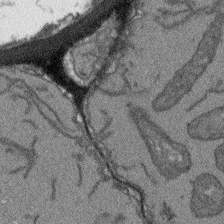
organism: Arabidopsis thaliana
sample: Root tip